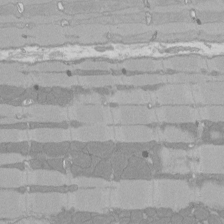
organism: Rat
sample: Left ventricle